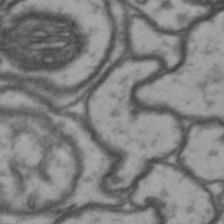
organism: Drosophila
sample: Brain